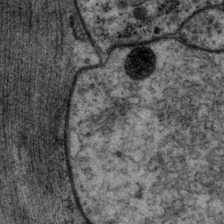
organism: P. pacificus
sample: Pharynx